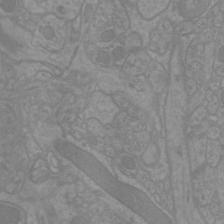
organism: Mouse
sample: Cortical neurons